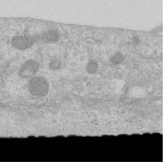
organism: Human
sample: Centriole in RPE cells